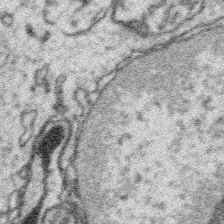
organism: Platynereis dumerilii